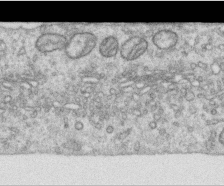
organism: Human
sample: Centriole in RPE cells